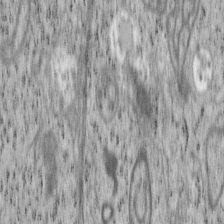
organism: Human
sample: HeLa cells